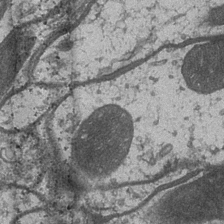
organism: Drosophila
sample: Optic medulla